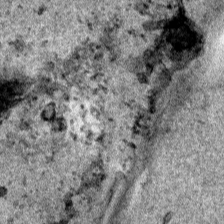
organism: Human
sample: Mitochondria in HCT116 cells